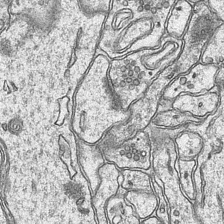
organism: Mouse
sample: CA1 Hippocampus